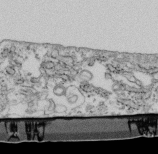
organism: Mouse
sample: Cilia; retinal pigment epithelium